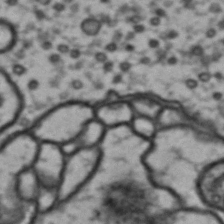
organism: Drosophila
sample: Brain